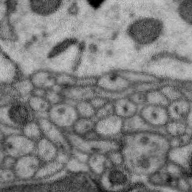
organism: Zebra finch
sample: Brain